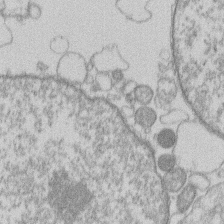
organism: Human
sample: Macrophage cells